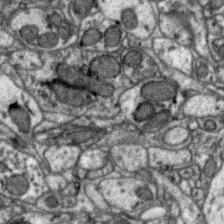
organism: Zebra finch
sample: Brain